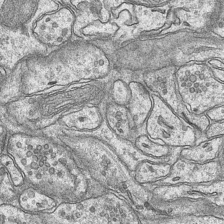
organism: Mouse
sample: CA1 Hippocampus